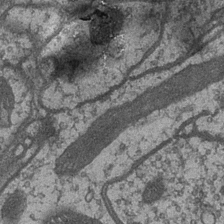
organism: Drosophila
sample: Optic medulla